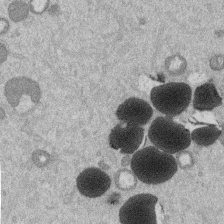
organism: Mouse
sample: Dividing mouse embryo 1 cell stage